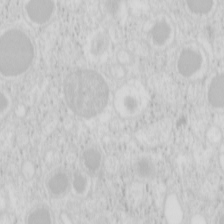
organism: Mouse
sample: Pancreas